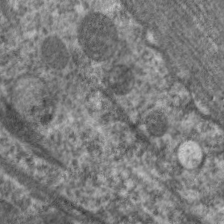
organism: C. elegans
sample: Pharynx